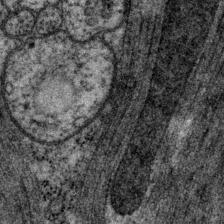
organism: P. pacificus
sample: Pharynx